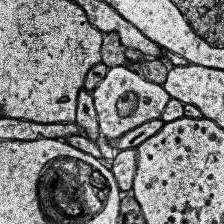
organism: Human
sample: Temporal Lobe